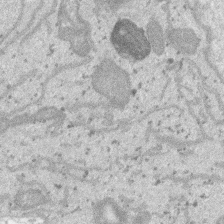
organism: Human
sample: Lung epithelial cells infected with SARS-CoV-2